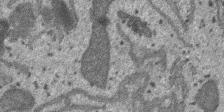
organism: Human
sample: Lung epithelial cells infected with SARS-CoV-2